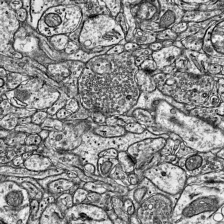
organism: Mouse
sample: Visual Cortex